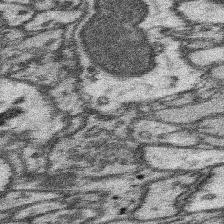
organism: Mouse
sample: Somatosensory cortex neuropil